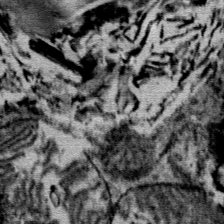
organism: Mouse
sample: Mouse Salivary gland